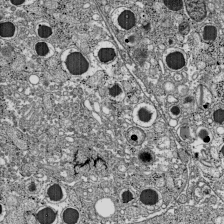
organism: C57BL Mouse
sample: Pancreatic islet